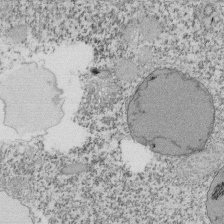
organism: Tetrahymena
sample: Cilia in tetrahymena